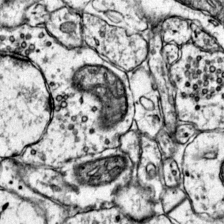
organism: Mouse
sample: Primary visual cortex